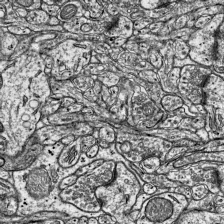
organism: Mouse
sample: Visual Cortex